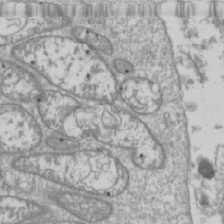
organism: Drosophila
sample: Cell division; meiosis; drosophila spermatocytes